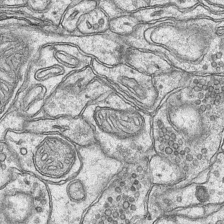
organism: Mouse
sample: CA1 Hippocampus